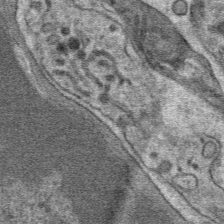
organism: Mouse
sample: Mouse hepatocytes